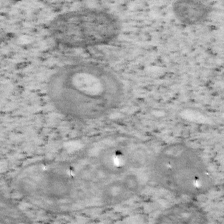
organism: Mouse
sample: OT-I killer T cells with ID8 ovarian cancer cells